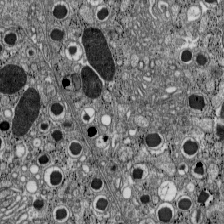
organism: C57BL Mouse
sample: Pancreatic islet